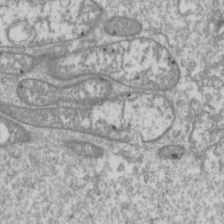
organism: Drosophila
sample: Cell division; meiosis; drosophila spermatocytes